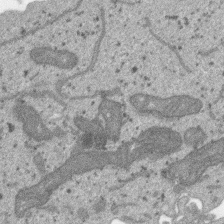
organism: Human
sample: Lung epithelial cells infected with SARS-CoV-2